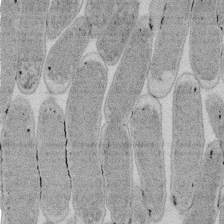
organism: E. coli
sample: Bacterial nucleoid